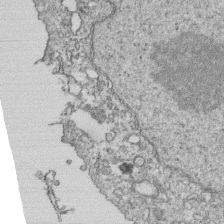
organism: Human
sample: HeLa cell HIV synapse